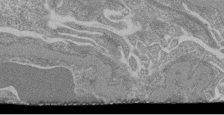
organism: Mouse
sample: Glomerulus